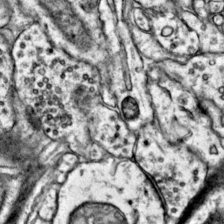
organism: Mouse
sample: Primary visual cortex